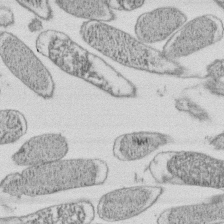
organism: E. coli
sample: Bacterial nucleoid